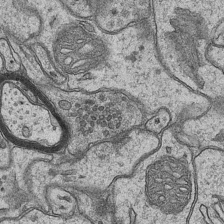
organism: Mouse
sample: CA1 Hippocampus